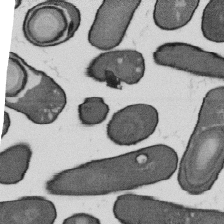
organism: B. subtilis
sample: Bacterial spore